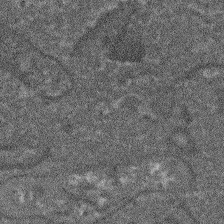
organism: Arabidopsis thaliana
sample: Root tip